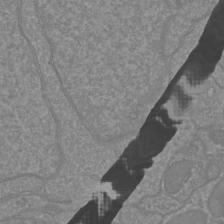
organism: Mouse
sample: Cortical neurons